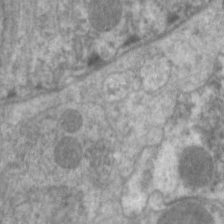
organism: C. elegans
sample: Pharynx